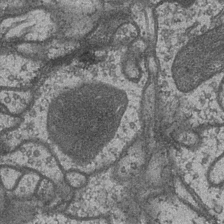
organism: Drosophila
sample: Optic medulla